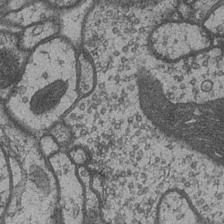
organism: Drosophila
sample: Optic medulla